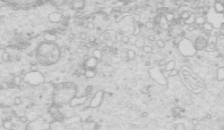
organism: Mouse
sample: Multiciliated cells